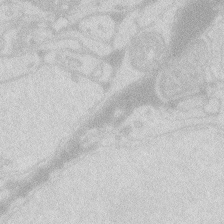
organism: Zebrafish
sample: Macrophage